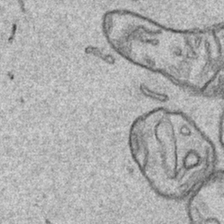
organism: Human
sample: Mitochondria in HCT116 cells